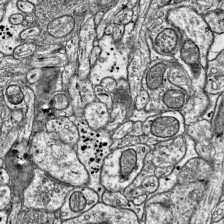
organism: Mouse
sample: Visual Cortex